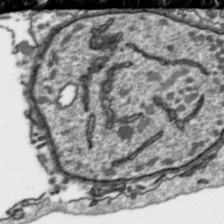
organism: Toxoplasma gondii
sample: Parasites in a vacuole inside a host cell